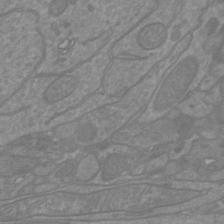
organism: Mouse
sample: Cortical neurons